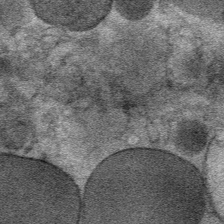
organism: Mouse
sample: Mouse Salivary gland